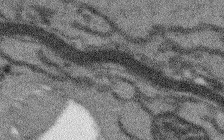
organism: Arabidopsis thaliana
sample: Root tip